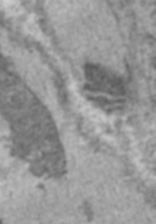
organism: C57BL Mouse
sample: Heart